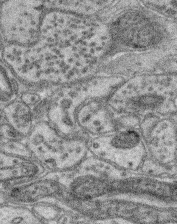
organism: Mouse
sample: Retina